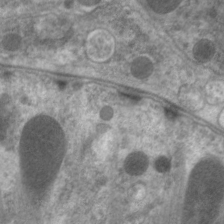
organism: C. elegans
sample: Pharynx